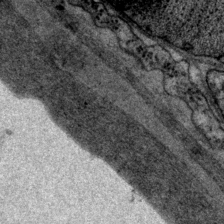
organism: P. pacificus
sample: Pharynx